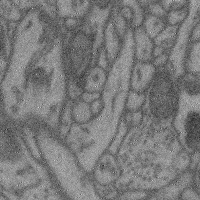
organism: Mouse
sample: Cerebral cortex